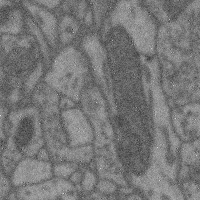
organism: Mouse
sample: Cerebral cortex